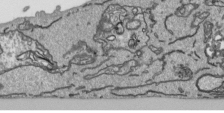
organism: Human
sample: Mitochondria in HCT116 cells